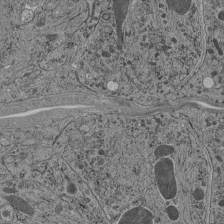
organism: C. elegans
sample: C. elegans pharynx